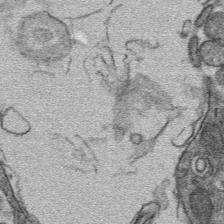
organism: Mouse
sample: Mouse hepatocytes